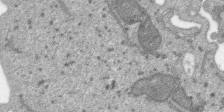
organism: Human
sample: Lung epithelial cells infected with SARS-CoV-2